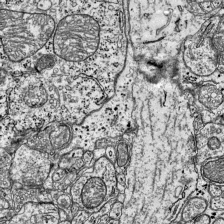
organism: Mouse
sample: Visual Cortex